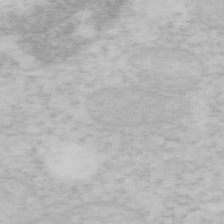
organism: Mouse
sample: OT-I killer T cells with ID8 ovarian cancer cells